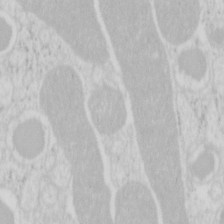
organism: Mouse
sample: Pancreas